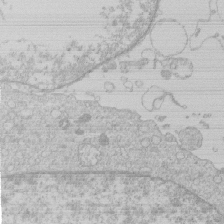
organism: Human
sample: Macrophage cells